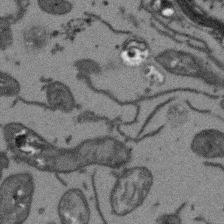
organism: Arabidopsis thaliana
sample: Root tip